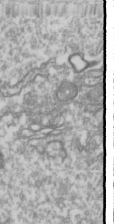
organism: Drosophila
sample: Cell division; meiosis; drosophila spermatocytes